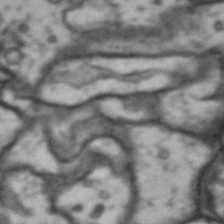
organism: Drosophila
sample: Brain